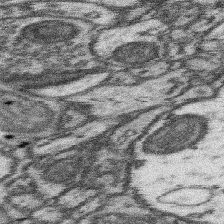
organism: Mouse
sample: Somatosensory cortex neuropil